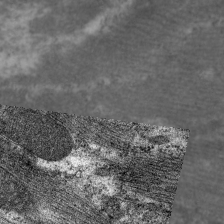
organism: C. elegans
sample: Pharynx